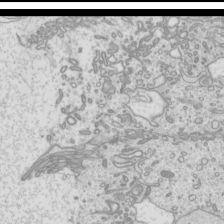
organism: Mouse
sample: Cilia; mouse epididymis